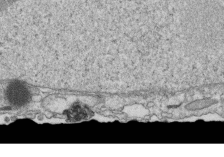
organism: Human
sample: HeLa cell HIV synapse